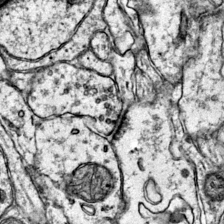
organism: Mouse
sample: Primary visual cortex